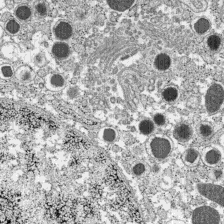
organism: C57BL Mouse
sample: Pancreatic islet